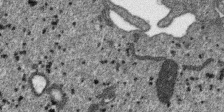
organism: Human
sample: Lung epithelial cells infected with SARS-CoV-2